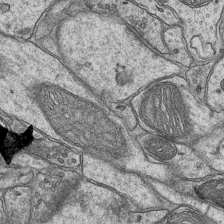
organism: Mouse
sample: CA1 Hippocampus